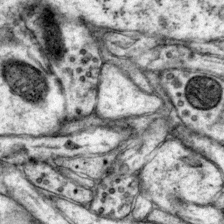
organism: Mouse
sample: Primary visual cortex